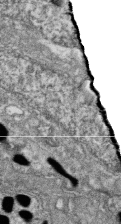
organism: Zebrafish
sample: Cilia; retinal pigment epithelium